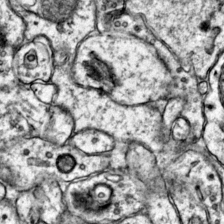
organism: Mouse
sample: Primary visual cortex